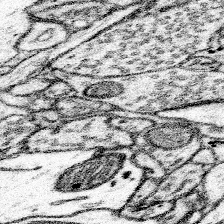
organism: Mouse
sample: Somatosensory cortex neuropil